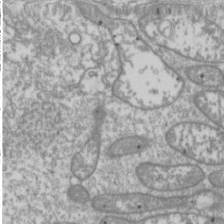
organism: Drosophila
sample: Cell division; meiosis; drosophila spermatocytes